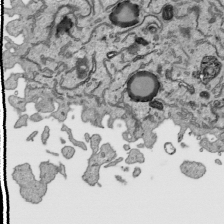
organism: Human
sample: Mitochondria in HCT116 cells